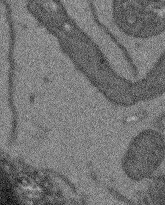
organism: Arabidopsis thaliana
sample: Root tip